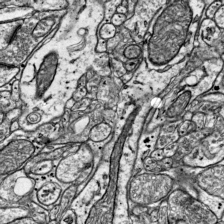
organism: Mouse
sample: Visual Cortex